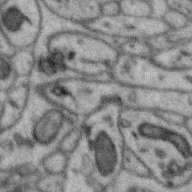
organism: Zebra finch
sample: Brain